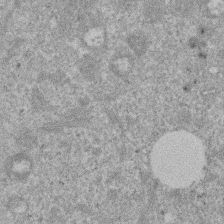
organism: Mouse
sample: Dividing mouse embryo 1 cell stage